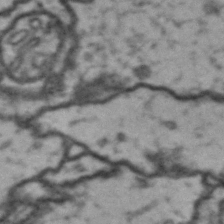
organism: Drosophila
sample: Brain